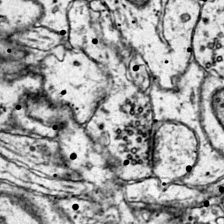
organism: Mouse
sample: Primary visual cortex